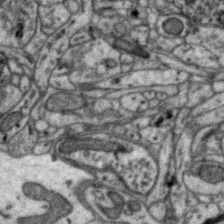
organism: Zebra finch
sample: Brain